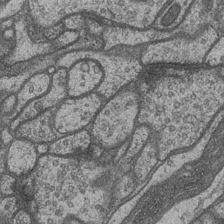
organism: Drosophila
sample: Optic medulla